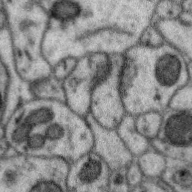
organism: Zebra finch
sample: Brain